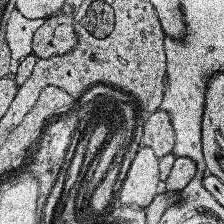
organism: Human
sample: Temporal Lobe